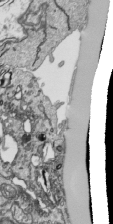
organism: Human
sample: Mitochondria in HCT116 cells